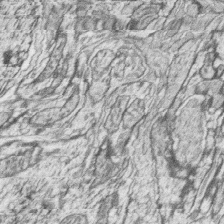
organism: Zebrafish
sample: synaptic ribbons in rod cells and cone cells